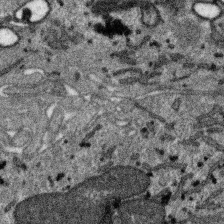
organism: Human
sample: Lung epithelial cells infected with SARS-CoV-2